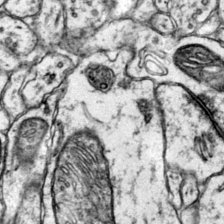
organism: Mouse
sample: Primary visual cortex